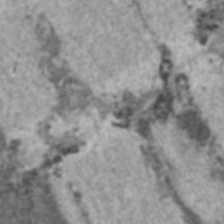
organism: C57BL Mouse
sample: Heart